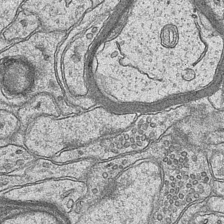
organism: Mouse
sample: CA1 Hippocampus